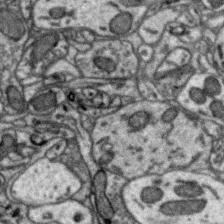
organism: Zebra finch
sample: Brain